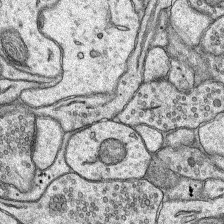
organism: Rat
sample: Hippocampus